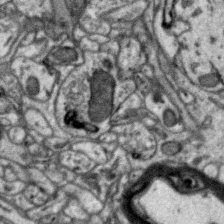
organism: Zebra finch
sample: Brain